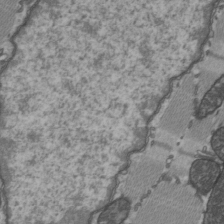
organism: C57BL Mouse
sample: Heart